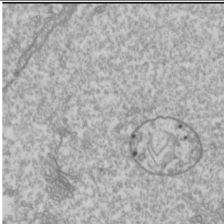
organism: Drosophila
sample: Cell division; meiosis; drosophila spermatocytes